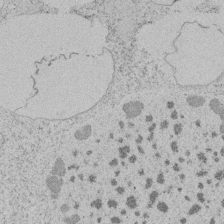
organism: Tetrahymena